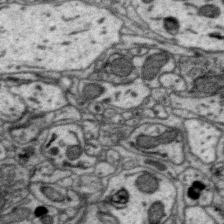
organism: Zebra finch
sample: Brain